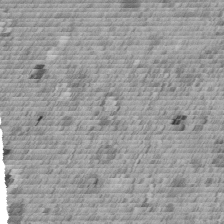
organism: C. elegans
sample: C. elegans embryo early stage